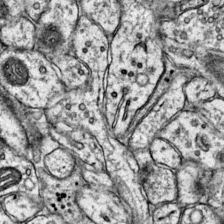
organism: Mouse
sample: Primary visual cortex